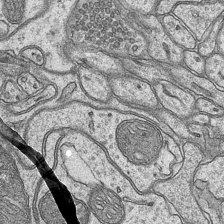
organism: Mouse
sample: CA1 Hippocampus